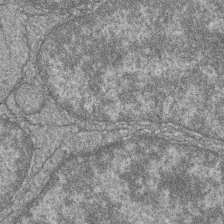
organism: Zebrafish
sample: Cilia; retinal pigment epithelium